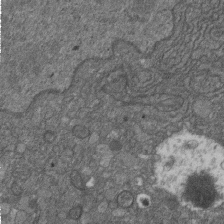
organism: Drosophila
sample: Nephrocyte